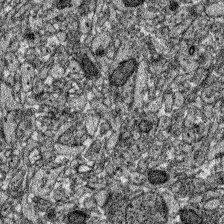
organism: Zebrafish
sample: Larval olfactory bulb